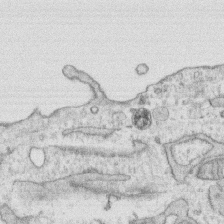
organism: Human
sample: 1205lu cells